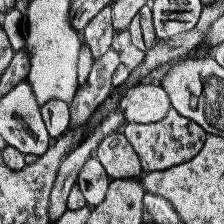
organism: Human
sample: Temporal Lobe